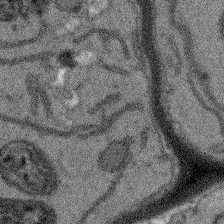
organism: Arabidopsis thaliana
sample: Root tip